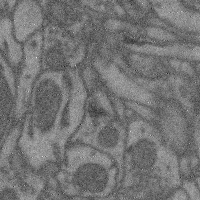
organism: Mouse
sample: Cerebral cortex